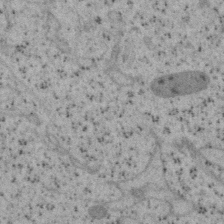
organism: Human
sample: HeLa cells